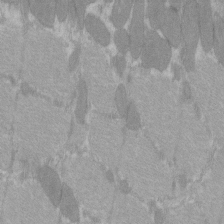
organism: C57BL Mouse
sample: Tibialis anterior muscle cell